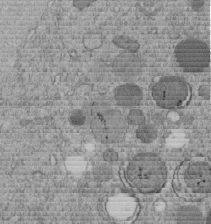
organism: C. elegans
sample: C. elegans embryo early stage